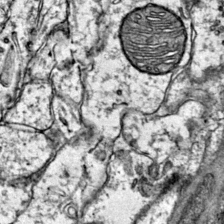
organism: Mouse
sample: Primary visual cortex